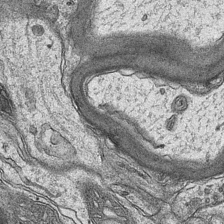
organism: Mouse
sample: CA1 Hippocampus